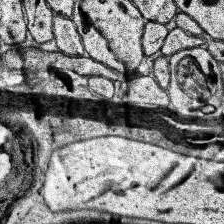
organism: Human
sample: Temporal Lobe